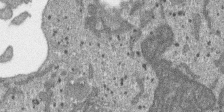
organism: Human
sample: Lung epithelial cells infected with SARS-CoV-2